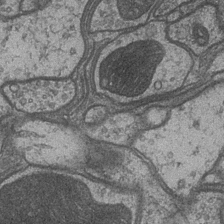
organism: Drosophila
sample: Optic medulla